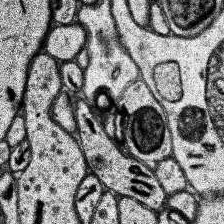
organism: Human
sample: Temporal Lobe